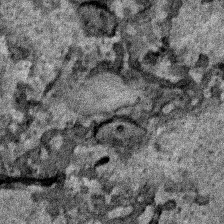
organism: Human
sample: Mitochondria in HCT116 cells